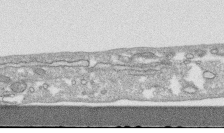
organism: Human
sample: CRL-1474